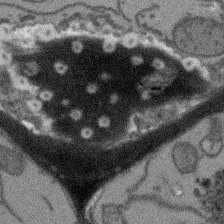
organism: Arabidopsis thaliana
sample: Root tip